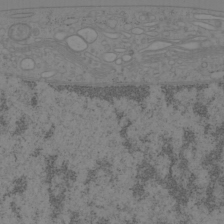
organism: Human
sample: HeLa cells